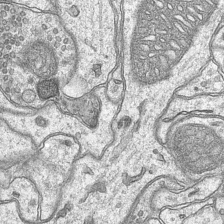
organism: Mouse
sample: CA1 Hippocampus